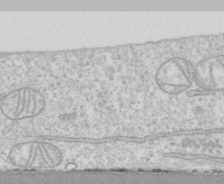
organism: Human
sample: CRL-1474